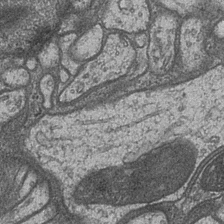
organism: Drosophila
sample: Optic medulla